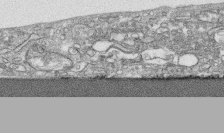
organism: Human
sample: CRL-1474